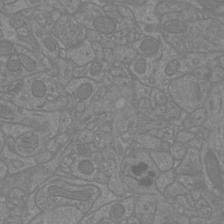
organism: Mouse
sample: Cortical neurons